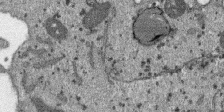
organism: Human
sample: Lung epithelial cells infected with SARS-CoV-2